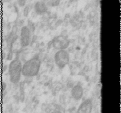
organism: Human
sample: Cilia; basal body in RPE cells